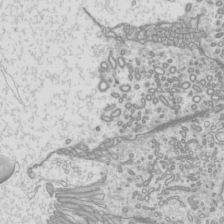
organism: Mouse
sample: Cilia; mouse epididymis